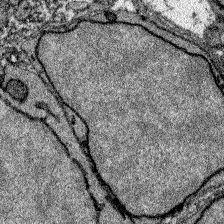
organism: Zebrafish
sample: Larval olfactory bulb